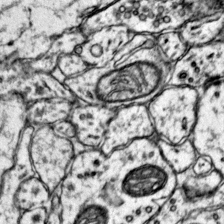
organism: Mouse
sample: Primary visual cortex